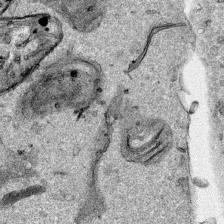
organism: Human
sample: Mitochondria in HCT116 cells